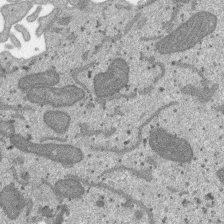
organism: Human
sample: Lung epithelial cells infected with SARS-CoV-2